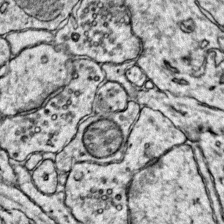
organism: Mouse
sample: Primary visual cortex